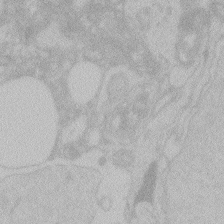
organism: Zebrafish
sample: Macrophage infected with Toxoplasma gondii